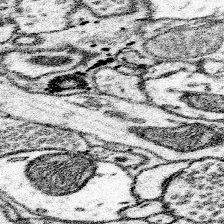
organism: Mouse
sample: Somatosensory cortex neuropil